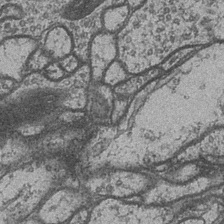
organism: Drosophila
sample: Optic medulla